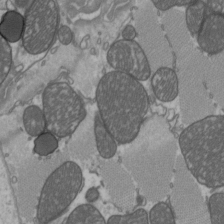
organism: C57BL Mouse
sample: Heart